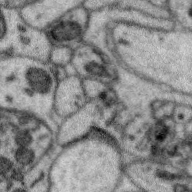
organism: Zebra finch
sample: Brain